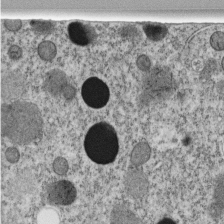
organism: C. elegans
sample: C. elegans embryo early stage